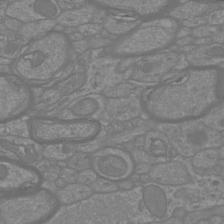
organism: Mouse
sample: Cortical neurons